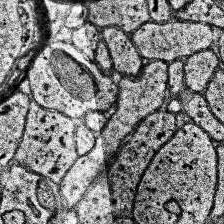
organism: Human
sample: Temporal Lobe